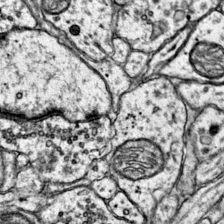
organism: Mouse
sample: Primary visual cortex